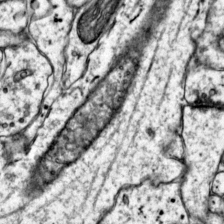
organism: Mouse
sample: Primary visual cortex